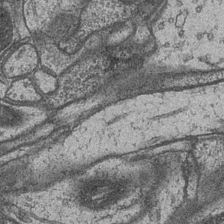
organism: Drosophila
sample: Optic medulla